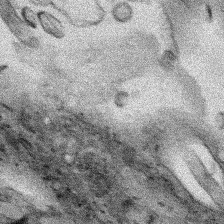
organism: Human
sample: Mitochondria in HCT116 cells